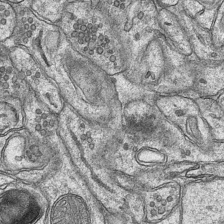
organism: Mouse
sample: CA1 Hippocampus